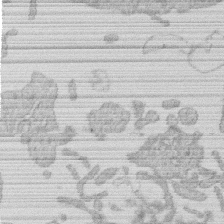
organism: Human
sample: Macrophage cells